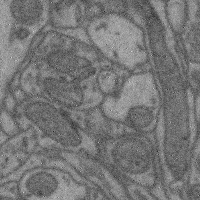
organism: Mouse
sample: Cerebral cortex